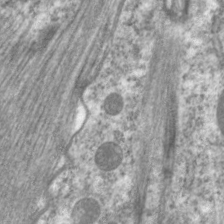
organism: C. elegans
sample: Pharynx